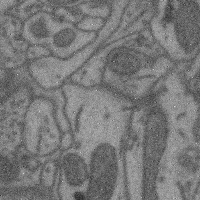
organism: Mouse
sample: Cerebral cortex